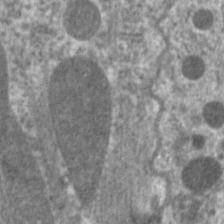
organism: C. elegans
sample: Pharynx